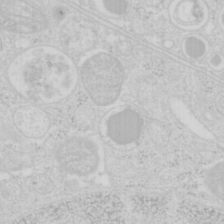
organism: Mouse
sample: Pancreas